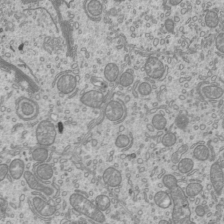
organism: Mouse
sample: Cilia; mouse epididymis